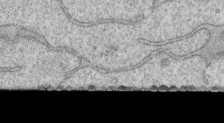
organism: Human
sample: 1205lu cells